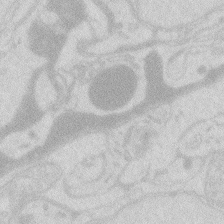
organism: Zebrafish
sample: Macrophage